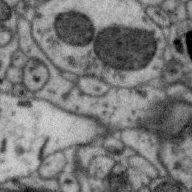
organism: Zebra finch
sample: Brain